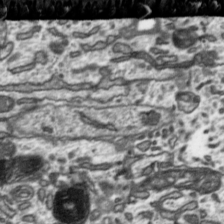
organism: Toxoplasma gondii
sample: Parasites in a vacuole inside a host cell